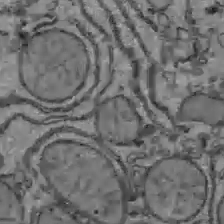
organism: C57BL Mouse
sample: Liver